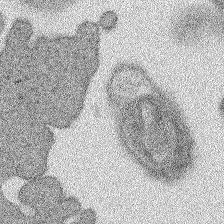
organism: Human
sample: HeLa cells